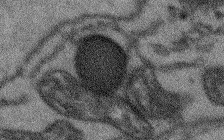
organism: Arabidopsis thaliana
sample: Root tip